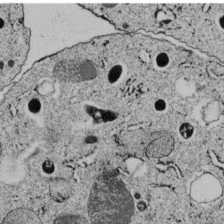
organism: C. elegans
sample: C. elegans embryo early stage